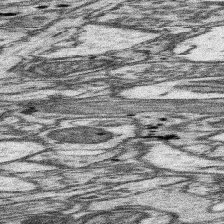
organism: Mouse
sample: Somatosensory cortex neuropil